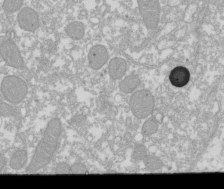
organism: Xenopus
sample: Cilia; centrioles in frog embryo cells